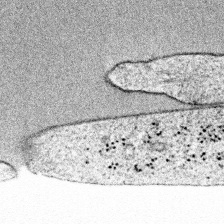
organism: Human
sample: HeLa cells